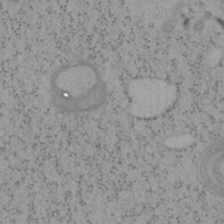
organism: Mouse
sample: OT-I killer T cells with ID8 ovarian cancer cells